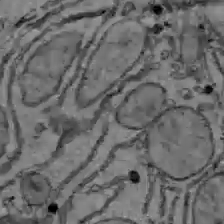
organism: C57BL Mouse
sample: Liver